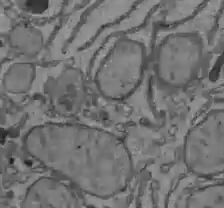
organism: C57BL Mouse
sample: Liver